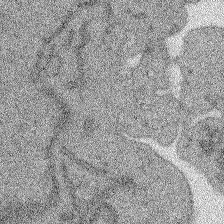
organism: Human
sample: HeLa cells